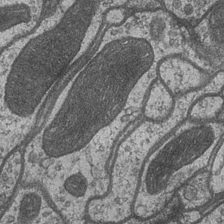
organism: Drosophila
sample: Optic medulla